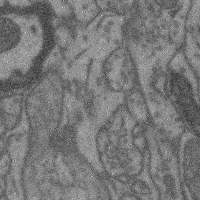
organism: Mouse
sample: Cerebral cortex